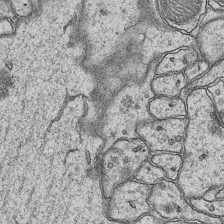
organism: Mouse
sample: CA1 Hippocampus